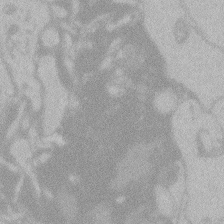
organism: Zebrafish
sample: Macrophage infected with Toxoplasma gondii